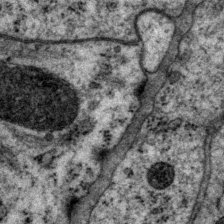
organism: P. pacificus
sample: Pharynx